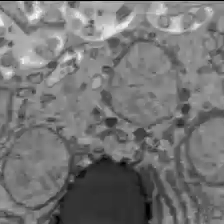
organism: C57BL Mouse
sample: Liver